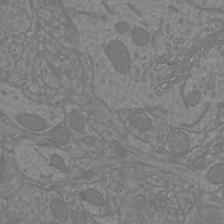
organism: Mouse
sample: Cortical neurons